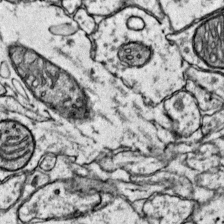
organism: Mouse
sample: Primary visual cortex